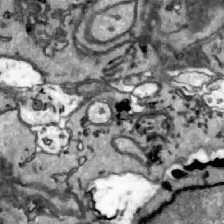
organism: Zebrafish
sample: Actinotrichia fibers